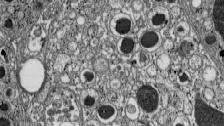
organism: C57BL Mouse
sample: Pancreatic islet